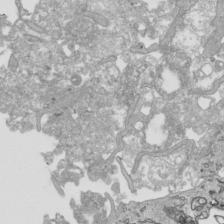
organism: Human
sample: Mitochondria in HCT116 cells